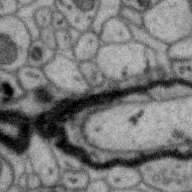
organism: Zebra finch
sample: Brain